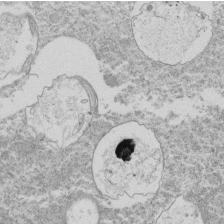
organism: Tetrahymena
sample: Cilia in tetrahymena